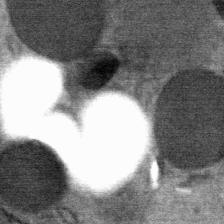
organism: Mouse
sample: Mouse Salivary gland